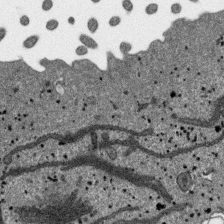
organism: Human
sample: Lung epithelial cells, uninfected (mock) control